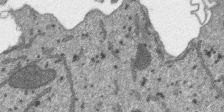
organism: Human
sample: Lung epithelial cells infected with SARS-CoV-2